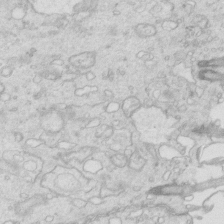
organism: Mouse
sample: Multiciliated cells